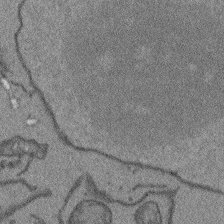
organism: Arabidopsis thaliana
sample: Root tip